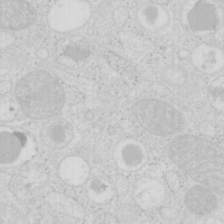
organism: Mouse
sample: Pancreas